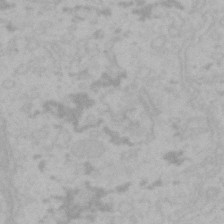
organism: Mouse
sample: Choroid plexus